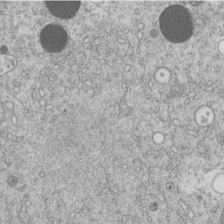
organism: C. elegans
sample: C. elegans embryo early stage